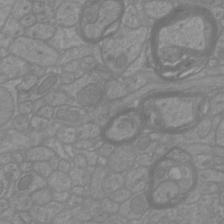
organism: Mouse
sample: Cortical neurons